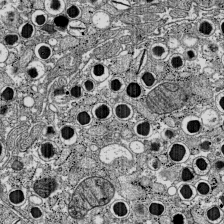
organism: C57BL Mouse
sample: Pancreatic islet